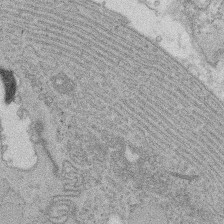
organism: Rat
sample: Salivary granule